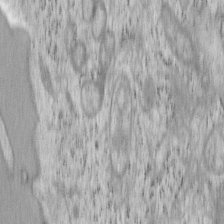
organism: Human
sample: HeLa cells